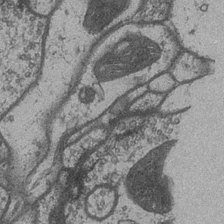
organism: Drosophila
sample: Optic medulla